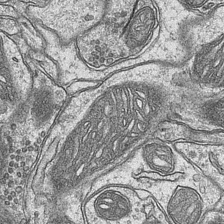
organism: Mouse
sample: CA1 Hippocampus